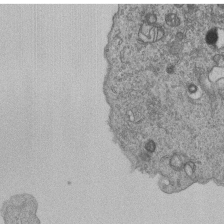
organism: Human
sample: MDA-MB-231 cells